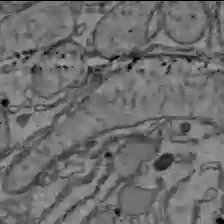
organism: C57BL Mouse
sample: Liver